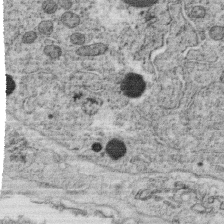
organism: C. elegans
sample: C. elegans oocyte; sperm cells